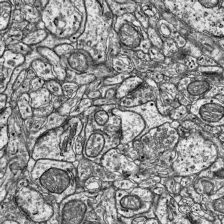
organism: Mouse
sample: Visual Cortex